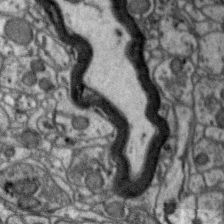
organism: Zebra finch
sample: Brain